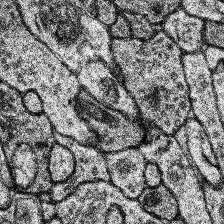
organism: Human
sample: Temporal Lobe